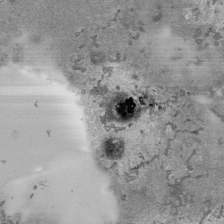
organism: Human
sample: Mitochondria in HCT116 cells